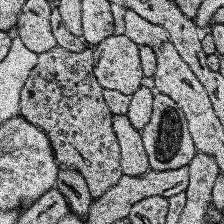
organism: Human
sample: Temporal Lobe